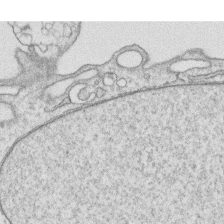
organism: Human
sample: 1205lu cells